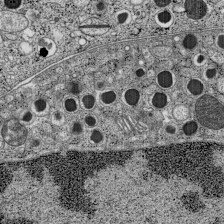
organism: C57BL Mouse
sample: Pancreatic islet